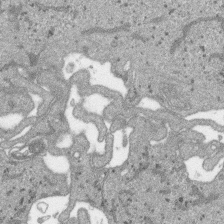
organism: Human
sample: Lung epithelial cells infected with SARS-CoV-2